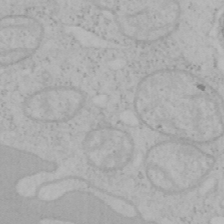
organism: Mouse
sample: OT-I killer T cells with ID8 ovarian cancer cells